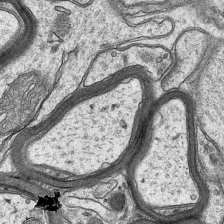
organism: Mouse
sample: CA1 Hippocampus